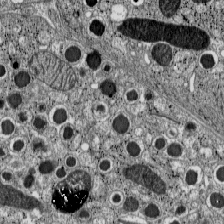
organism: C57BL Mouse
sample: Pancreatic islet